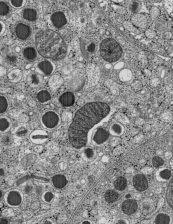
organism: C57BL Mouse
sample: Pancreatic islet